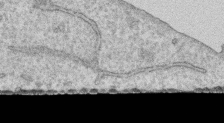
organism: Human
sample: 1205lu cells